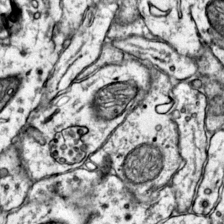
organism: Mouse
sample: Primary visual cortex